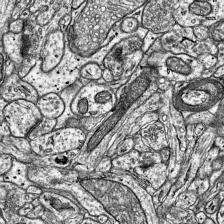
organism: Mouse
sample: Visual Cortex